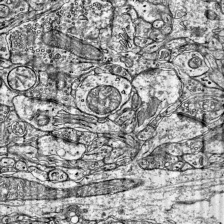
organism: Mouse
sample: Visual Cortex